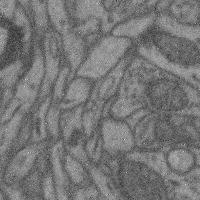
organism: Mouse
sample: Cerebral cortex